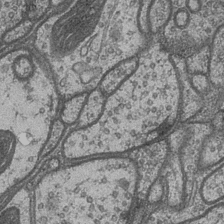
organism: Drosophila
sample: Optic medulla